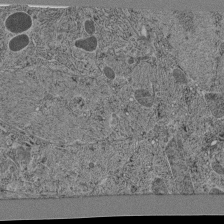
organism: C. elegans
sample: C. elegans pharynx